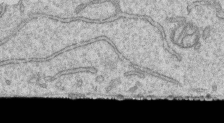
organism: Human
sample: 1205lu cells